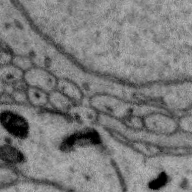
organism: Zebra finch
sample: Brain